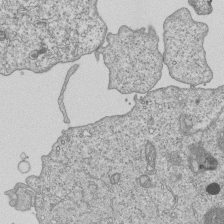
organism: Human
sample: MDA-MB-231 cells